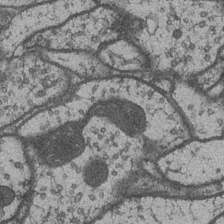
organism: Drosophila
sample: Optic medulla